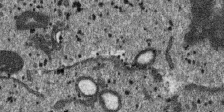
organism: Human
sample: Lung epithelial cells infected with SARS-CoV-2